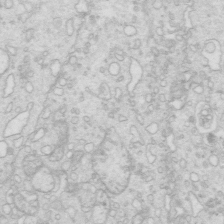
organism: Mouse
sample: Multiciliated cells